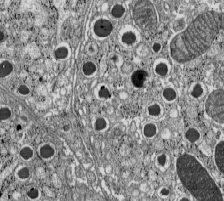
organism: C57BL Mouse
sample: Pancreatic islet